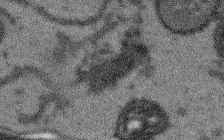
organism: Arabidopsis thaliana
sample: Root tip